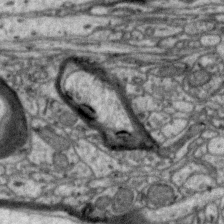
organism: Zebra finch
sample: Brain